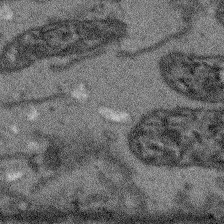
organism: Arabidopsis thaliana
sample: Root tip